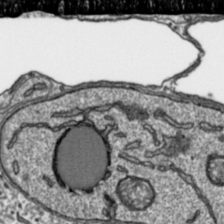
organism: Toxoplasma gondii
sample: Parasites in a vacuole inside a host cell